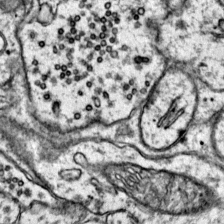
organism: Mouse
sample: Primary visual cortex